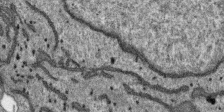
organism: Human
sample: Lung epithelial cells, uninfected (mock) control